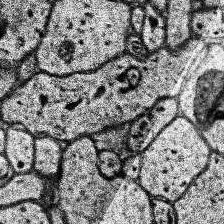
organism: Human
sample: Temporal Lobe